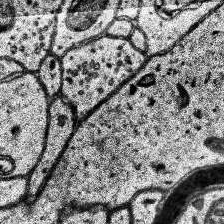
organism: Human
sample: Temporal Lobe